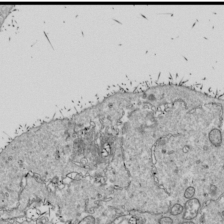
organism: Drosophila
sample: Cell division; meiosis; drosophila spermatocytes